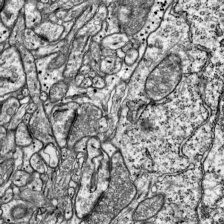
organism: Mouse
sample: Visual Cortex